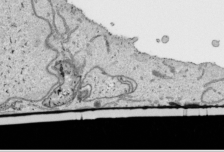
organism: Human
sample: Mitochondria in HCT116 cells